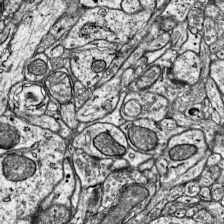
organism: Mouse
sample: Visual Cortex